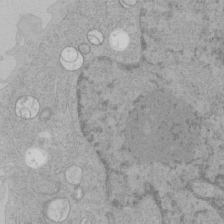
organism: Human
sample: Mitochondria in HCT116 cells